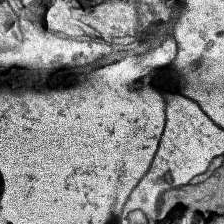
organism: Human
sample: Temporal Lobe